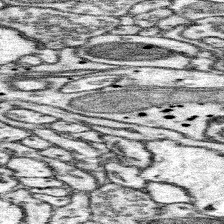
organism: Mouse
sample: Somatosensory cortex neuropil